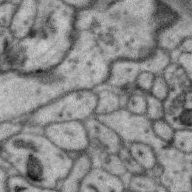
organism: Zebra finch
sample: Brain